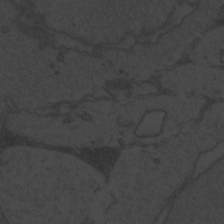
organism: Zebrafish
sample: Macrophage infected with Toxoplasma gondii